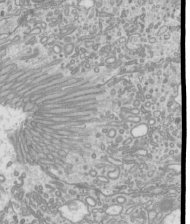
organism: Mouse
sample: Cilia; mouse epididymis